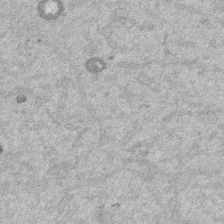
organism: Mouse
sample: Dividing mouse embryo 1 cell stage